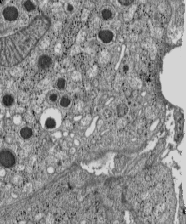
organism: C57BL Mouse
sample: Pancreatic islet